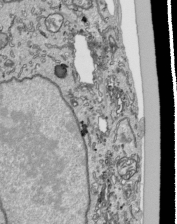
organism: Human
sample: Mitochondria in HCT116 cells